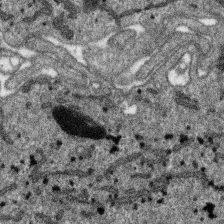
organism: Human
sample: Lung epithelial cells infected with SARS-CoV-2